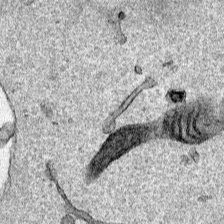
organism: Human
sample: Mitochondria in HCT116 cells